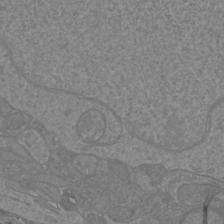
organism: Mouse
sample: Cortical neurons